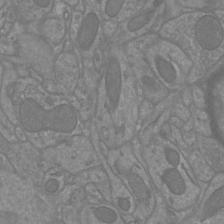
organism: Mouse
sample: Cortical neurons